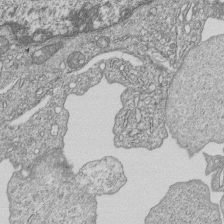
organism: Human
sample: MDA-MB-231 cells